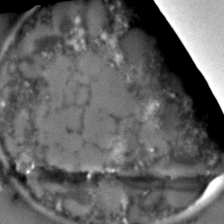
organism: C. elegans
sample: C. elegans embryo